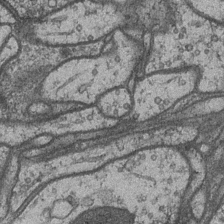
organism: Drosophila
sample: Optic medulla